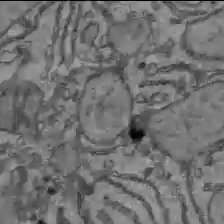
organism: C57BL Mouse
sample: Liver